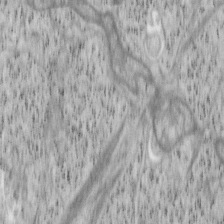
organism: Human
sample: HeLa cells